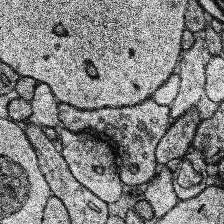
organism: Human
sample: Temporal Lobe